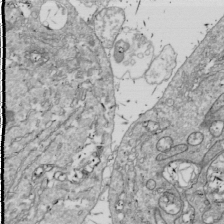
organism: Drosophila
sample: Cell division; meiosis; drosophila spermatocytes